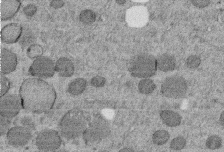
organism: C. elegans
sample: C. elegans embryo early stage